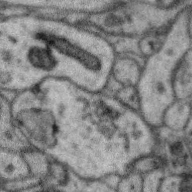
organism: Zebra finch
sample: Brain